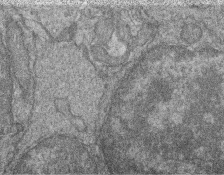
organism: Zebrafish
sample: Cilia; retinal pigment epithelium